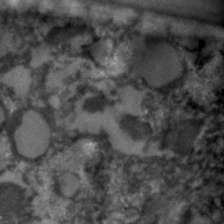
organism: C. elegans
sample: C. elegans embryo